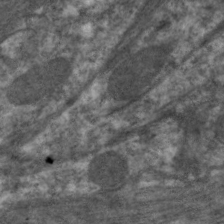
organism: C. elegans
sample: Pharynx